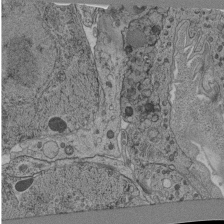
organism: C. elegans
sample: C. elegans pharynx